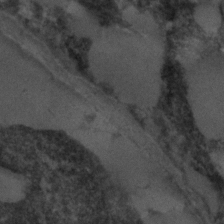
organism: C. elegans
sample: C. elegans embryo